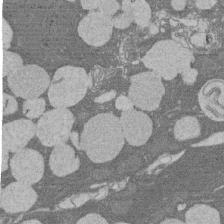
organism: Rat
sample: Salivary granule